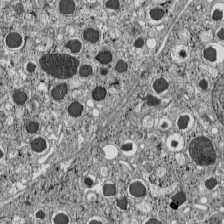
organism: C57BL Mouse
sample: Pancreatic islet